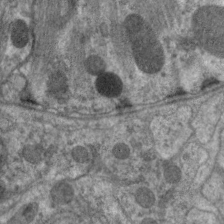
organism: C. elegans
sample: Pharynx